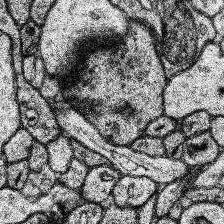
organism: Human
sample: Temporal Lobe